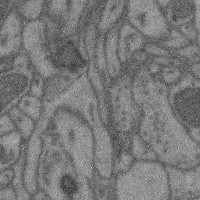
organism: Mouse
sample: Cerebral cortex